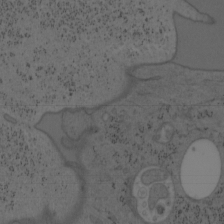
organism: Mouse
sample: OT-I killer T cells with ID8 ovarian cancer cells